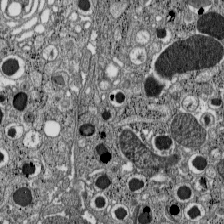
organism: C57BL Mouse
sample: Pancreatic islet